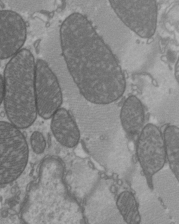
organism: C57BL Mouse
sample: Heart